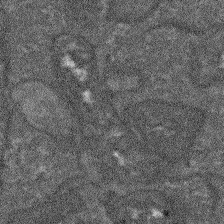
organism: Arabidopsis thaliana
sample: Root tip